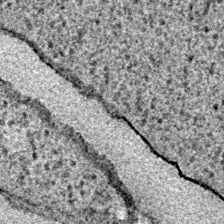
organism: E. coli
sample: E. Coli Bacteria